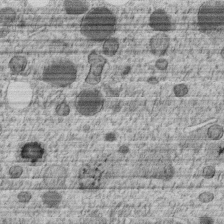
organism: C. elegans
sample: C. elegans embryo early stage